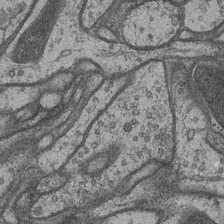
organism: Drosophila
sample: Optic medulla